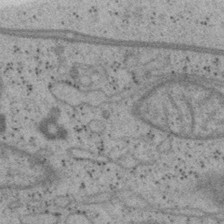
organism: Human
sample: HeLa cells